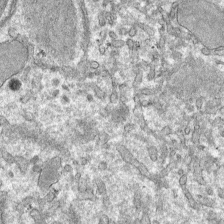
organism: Mouse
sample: Mouse hepatocytes